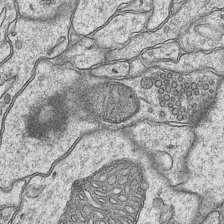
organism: Mouse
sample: CA1 Hippocampus